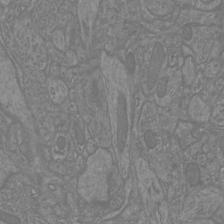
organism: Mouse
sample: Cortical neurons